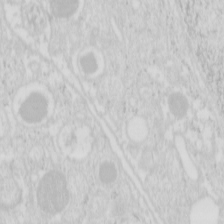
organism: Mouse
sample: Pancreas